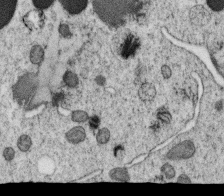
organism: C. elegans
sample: C. elegans oocyte; sperm cells